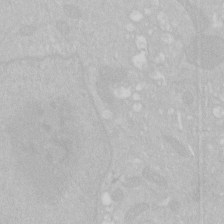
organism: Human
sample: HIV infected U937 cells